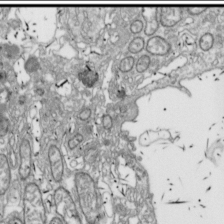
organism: Drosophila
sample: Cell division; meiosis; drosophila spermatocytes